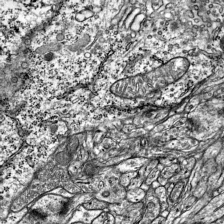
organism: Mouse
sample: Visual Cortex